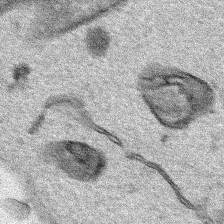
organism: Human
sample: Mitochondria in HCT116 cells